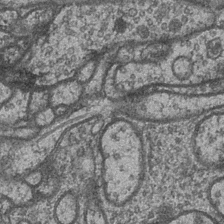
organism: Drosophila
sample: Optic medulla